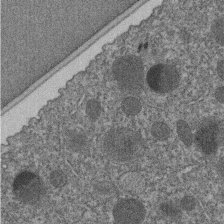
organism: C. elegans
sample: C. elegans embryo early stage